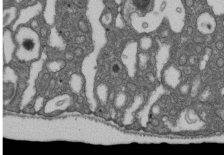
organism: Drosophila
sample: Nephrocyte